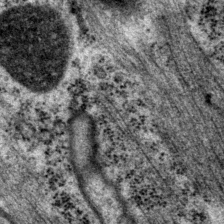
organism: P. pacificus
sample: Pharynx